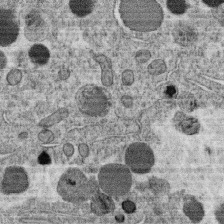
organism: C. elegans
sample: C. elegans oocyte; sperm cells